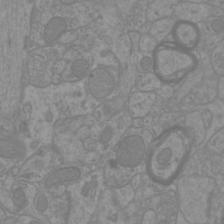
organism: Mouse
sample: Cortical neurons